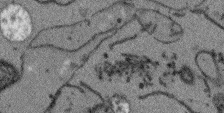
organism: Arabidopsis thaliana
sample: Root tip